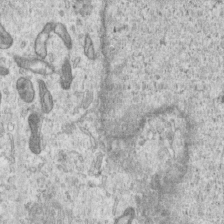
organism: Human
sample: Centriole in RPE cells